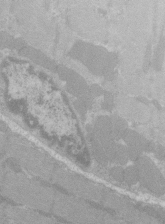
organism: C57BL Mouse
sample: Tibialis anterior muscle cell